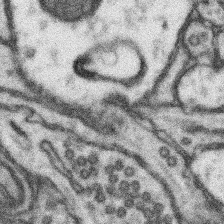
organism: Mouse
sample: Somatosensory cortex neuropil